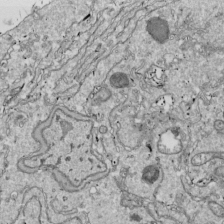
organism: Drosophila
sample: Cell division; meiosis; drosophila spermatocytes